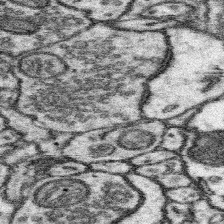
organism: Mouse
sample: Somatosensory cortex neuropil